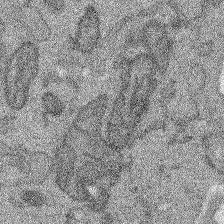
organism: Human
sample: HeLa cells